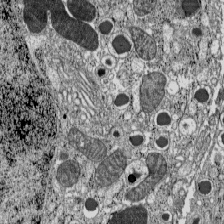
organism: C57BL Mouse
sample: Pancreatic islet